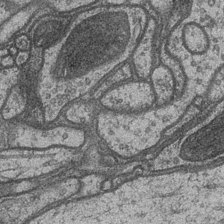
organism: Drosophila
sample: Optic medulla